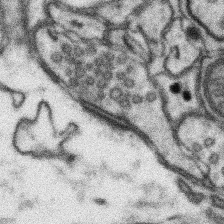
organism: Mouse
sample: Somatosensory cortex neuropil